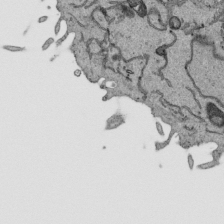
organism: Human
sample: Mitochondria in HCT116 cells